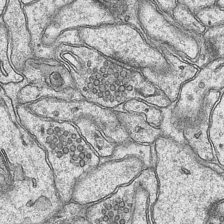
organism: Mouse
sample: CA1 Hippocampus